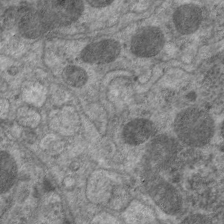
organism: C. elegans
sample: Pharynx